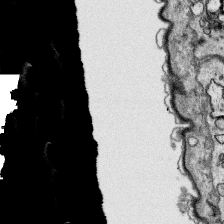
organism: Platynereis dumerilii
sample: Parapodia